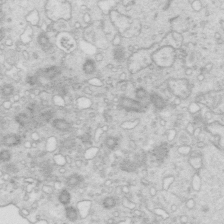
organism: Mouse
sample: Multiciliated cells